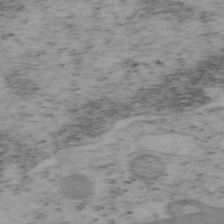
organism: Mouse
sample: OT-I killer T cells with ID8 ovarian cancer cells